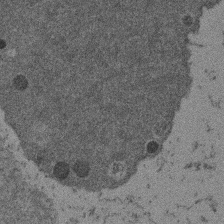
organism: Mouse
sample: Dividing mouse embryo 1 cell stage